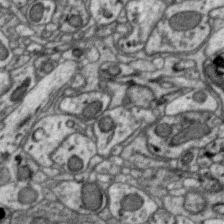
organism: Zebra finch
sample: Brain